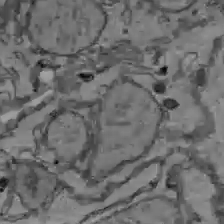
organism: C57BL Mouse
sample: Liver